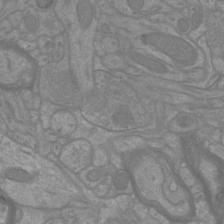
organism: Mouse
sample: Cortical neurons